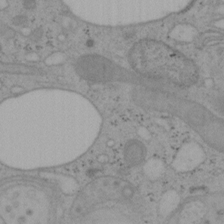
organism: Mouse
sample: OT-I killer T cells with ID8 ovarian cancer cells